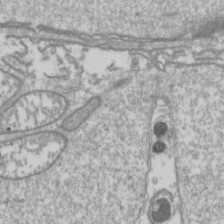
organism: Drosophila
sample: Cell division; meiosis; drosophila spermatocytes